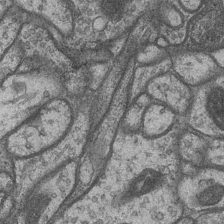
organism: Drosophila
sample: Optic medulla